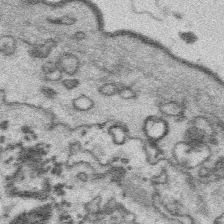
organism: Platynereis dumerilii